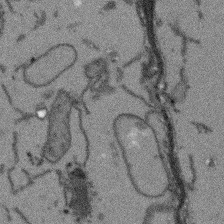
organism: Arabidopsis thaliana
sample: Root tip